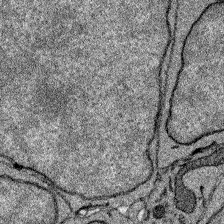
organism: Zebrafish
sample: Larval olfactory bulb